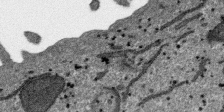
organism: Human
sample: Lung epithelial cells, uninfected (mock) control